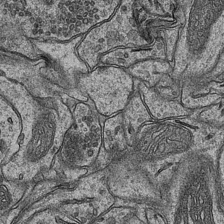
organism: Mouse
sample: CA1 Hippocampus